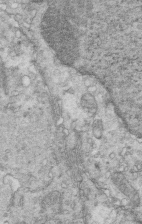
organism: Mouse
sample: Multiciliated cells